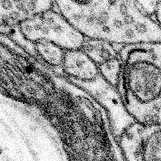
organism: Mouse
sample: Somatosensory cortex neuropil